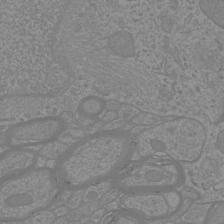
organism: Mouse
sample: Cortical neurons